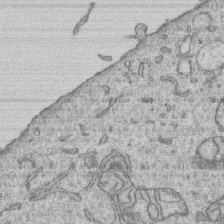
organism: Human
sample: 1205lu cells